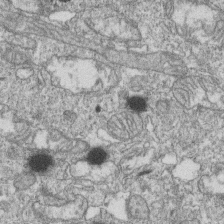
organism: Human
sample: HeLa cell HIV synapse